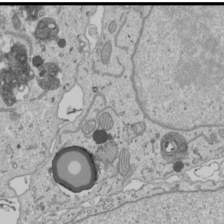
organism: Human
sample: Mitochondria in U2OS cells